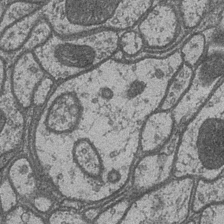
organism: Drosophila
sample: Optic medulla